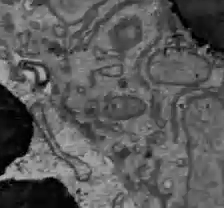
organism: C57BL Mouse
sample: Liver